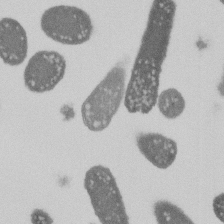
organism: E. coli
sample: Bacterial nucleoid